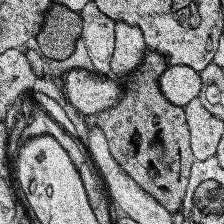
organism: Human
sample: Temporal Lobe